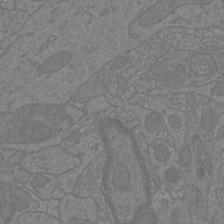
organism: Mouse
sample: Cortical neurons